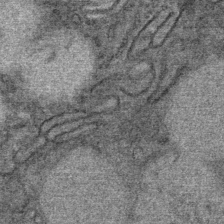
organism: Mouse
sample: Mouse Salivary gland